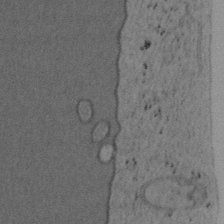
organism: Human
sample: HeLa cells